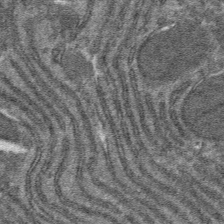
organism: Mouse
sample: Mouse hepatocytes